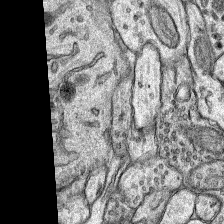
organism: Rat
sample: Hippocampus